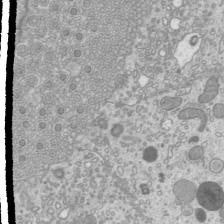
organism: Mouse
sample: Cilia; mouse epididymis